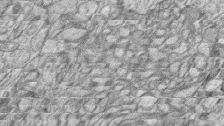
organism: Zebrafish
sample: synaptic ribbons in rod cells and cone cells